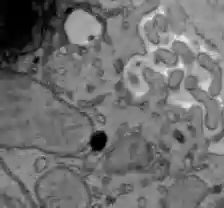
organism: C57BL Mouse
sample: Liver